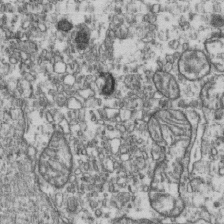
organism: Human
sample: Activated Jurkat CD4+ T cells